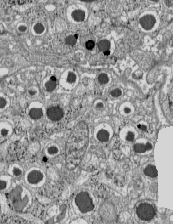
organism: C57BL Mouse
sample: Pancreatic islet